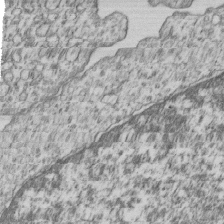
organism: Human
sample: MDA-MB-231 cells